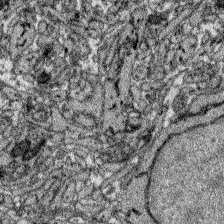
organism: Zebrafish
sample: Larval olfactory bulb